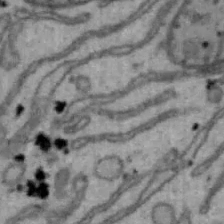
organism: Mouse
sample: Liver